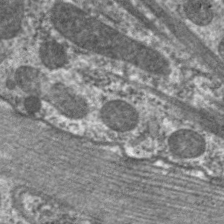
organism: C. elegans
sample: Pharynx